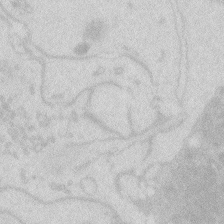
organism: Zebrafish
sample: Macrophage